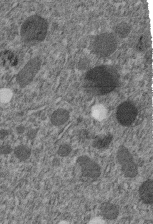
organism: C. elegans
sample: C. elegans embryo early stage